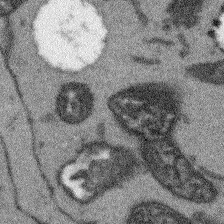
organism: Arabidopsis thaliana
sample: Root tip